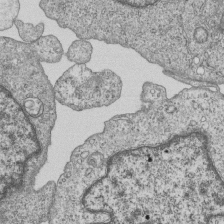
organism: Human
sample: MDA-MB-231 cells